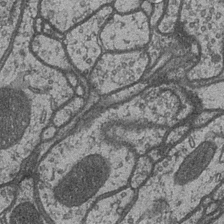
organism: Drosophila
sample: Optic medulla